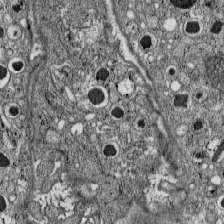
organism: C57BL Mouse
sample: Pancreatic islet